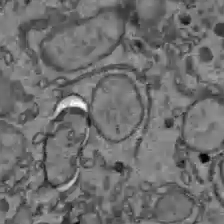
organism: C57BL Mouse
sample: Liver